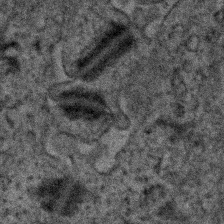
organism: Human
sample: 1205lu cells